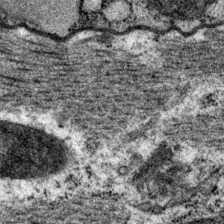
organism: P. pacificus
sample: Pharynx